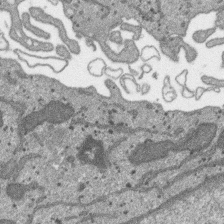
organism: Human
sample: Lung epithelial cells infected with SARS-CoV-2